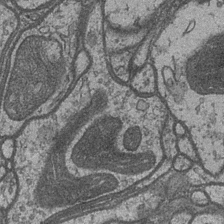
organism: Drosophila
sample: Optic medulla